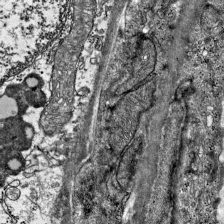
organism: Mouse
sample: Visual Cortex